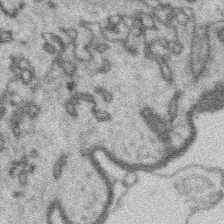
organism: Platynereis dumerilii